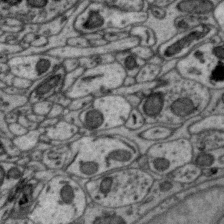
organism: Zebra finch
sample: Brain